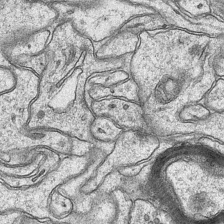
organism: Mouse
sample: CA1 Hippocampus